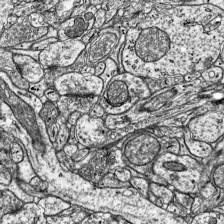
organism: Mouse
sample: Visual Cortex